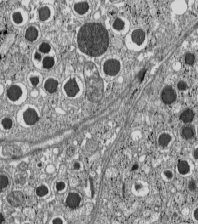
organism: C57BL Mouse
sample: Pancreatic islet